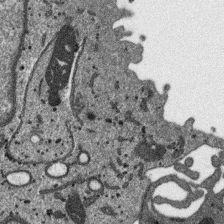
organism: Human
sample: Lung epithelial cells infected with SARS-CoV-2